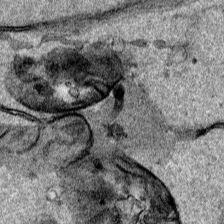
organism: Human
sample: Mitochondria in HCT116 cells